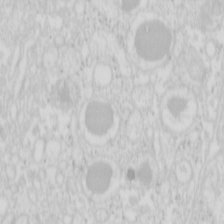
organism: Mouse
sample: Pancreas